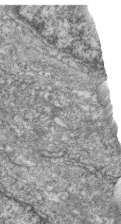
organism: Zebrafish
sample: Cilia; retinal pigment epithelium